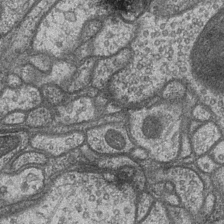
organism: Drosophila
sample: Optic medulla